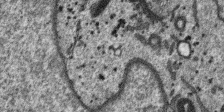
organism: Human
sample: Lung epithelial cells infected with SARS-CoV-2